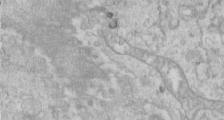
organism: Human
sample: Centriole in RPE cells